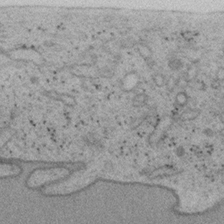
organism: Human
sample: HeLa cells